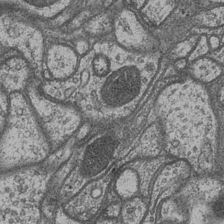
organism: Drosophila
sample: Optic medulla